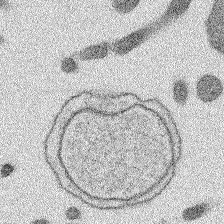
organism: Human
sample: HeLa cells